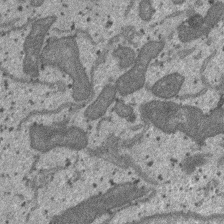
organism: Human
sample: Lung epithelial cells infected with SARS-CoV-2